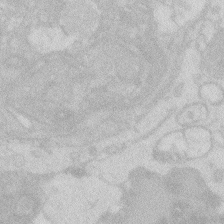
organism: Zebrafish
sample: Macrophage